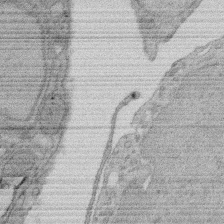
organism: Rat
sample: Salivary granule